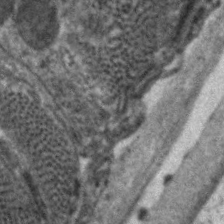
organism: C. elegans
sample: Pharynx